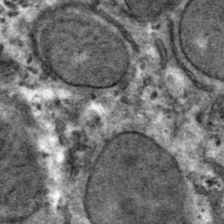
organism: Mouse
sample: Mouse hepatocytes